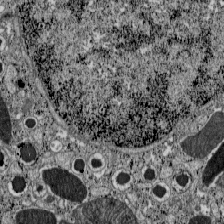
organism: C57BL Mouse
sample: Pancreatic islet